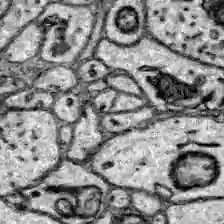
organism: Zebrafish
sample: Brain